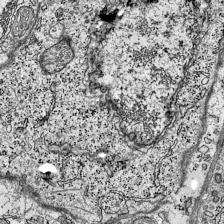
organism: Mouse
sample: Visual Cortex